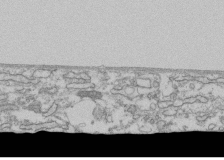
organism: Human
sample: Fibroblast cells